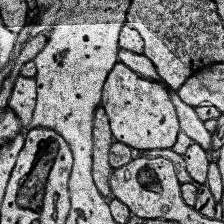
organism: Human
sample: Temporal Lobe